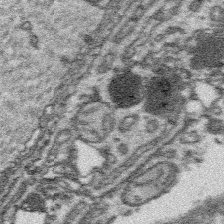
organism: Platynereis dumerilii